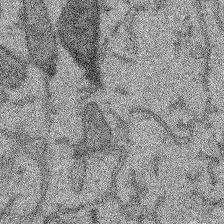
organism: Human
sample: HeLa cells